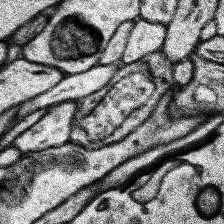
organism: Human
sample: Temporal Lobe